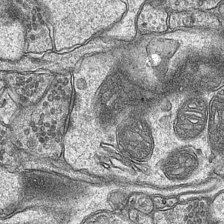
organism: Mouse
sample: CA1 Hippocampus